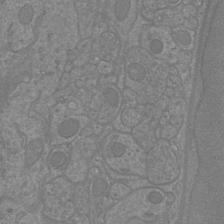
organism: Mouse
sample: Cortical neurons